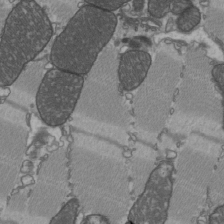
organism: C57BL Mouse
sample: Heart